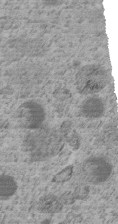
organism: C. elegans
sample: C. elegans embryo early stage